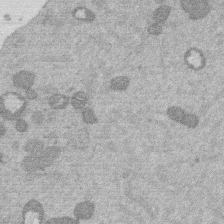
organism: Mouse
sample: Dividing mouse embryo 1 cell stage